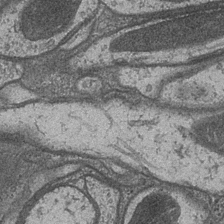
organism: Drosophila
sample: Optic medulla